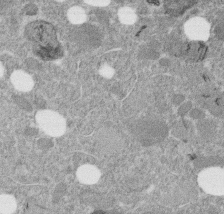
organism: C. elegans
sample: C. elegans embryo early stage